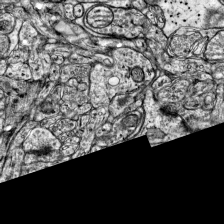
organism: Mouse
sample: Visual Cortex